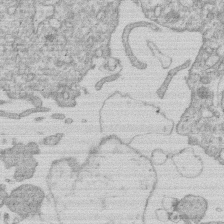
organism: Human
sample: Macrophage cells